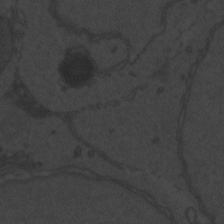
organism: Zebrafish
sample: Macrophage infected with Toxoplasma gondii